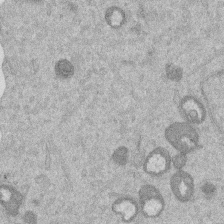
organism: Mouse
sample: Dividing mouse embryo 1 cell stage